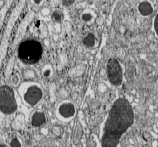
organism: C57BL Mouse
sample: Pancreatic islet